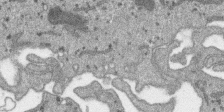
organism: Human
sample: Lung epithelial cells infected with SARS-CoV-2